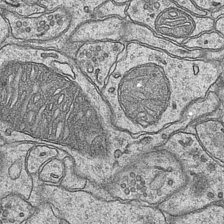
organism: Mouse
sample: CA1 Hippocampus